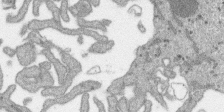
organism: Human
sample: Lung epithelial cells infected with SARS-CoV-2